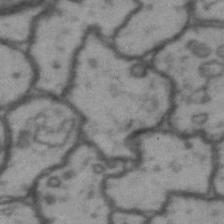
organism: Drosophila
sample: Brain